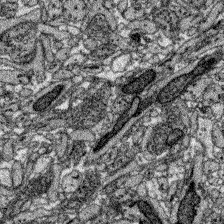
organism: Zebrafish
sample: Larval olfactory bulb